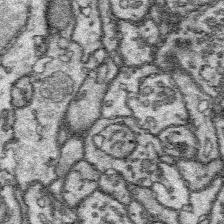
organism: Platynereis dumerilii